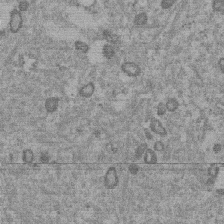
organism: Mouse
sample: Dividing mouse embryo 1 cell stage